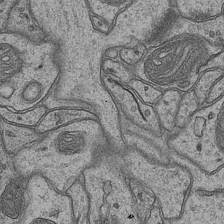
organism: Mouse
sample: CA1 Hippocampus